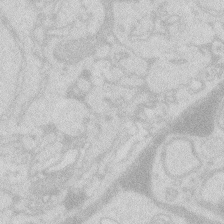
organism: Zebrafish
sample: Macrophage